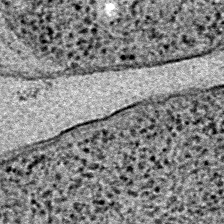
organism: E. coli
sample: E. Coli Bacteria